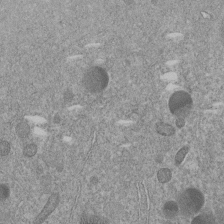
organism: C. elegans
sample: C. elegans embryo early stage